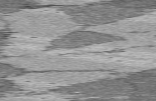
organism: C57BL Mouse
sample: Heart